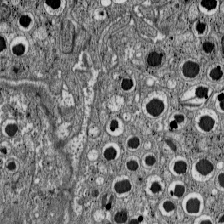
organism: C57BL Mouse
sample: Pancreatic islet